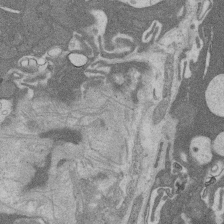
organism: Rat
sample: Salivary granule